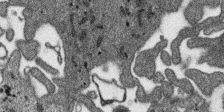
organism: Human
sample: Lung epithelial cells infected with SARS-CoV-2